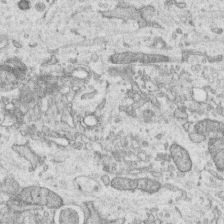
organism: Human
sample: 1205lu cells